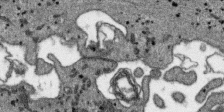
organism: Human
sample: Lung epithelial cells, uninfected (mock) control